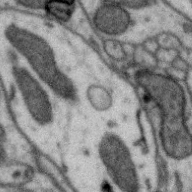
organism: Zebra finch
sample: Brain